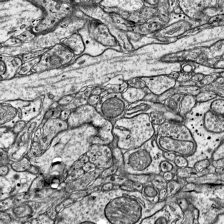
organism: Mouse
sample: Visual Cortex